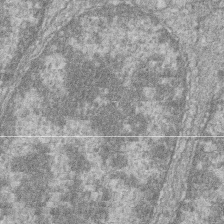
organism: Zebrafish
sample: Cilia; retinal pigment epithelium